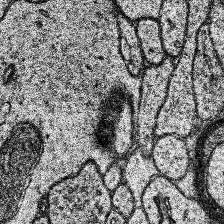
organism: Human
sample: Temporal Lobe